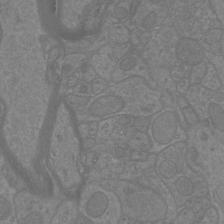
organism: Mouse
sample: Cortical neurons